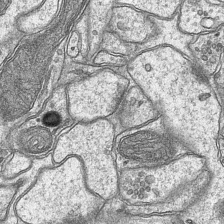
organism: Mouse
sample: CA1 Hippocampus